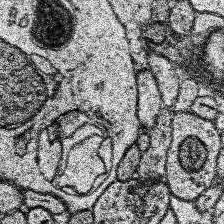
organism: Human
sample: Temporal Lobe